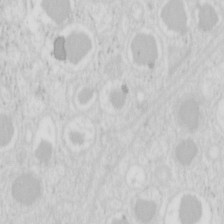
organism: Mouse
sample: Pancreas